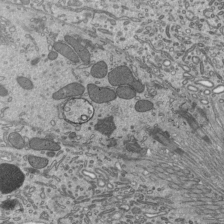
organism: Mouse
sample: Mouse epididymis efferent ductule cilia